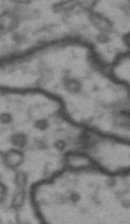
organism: Drosophila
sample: Brain